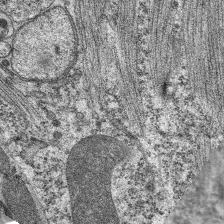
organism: C. elegans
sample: Pharynx